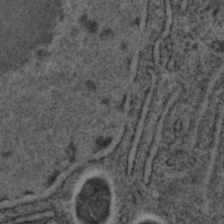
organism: C. elegans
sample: C. elegans embryo